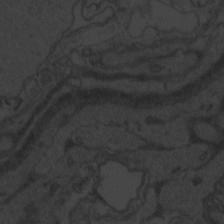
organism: Zebrafish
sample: Macrophage infected with Toxoplasma gondii